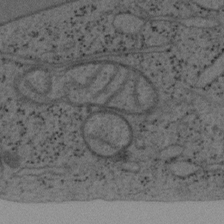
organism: Human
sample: HeLa cells